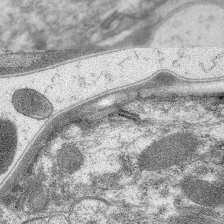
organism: C. elegans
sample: Pharynx